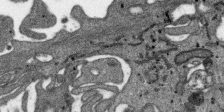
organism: Human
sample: Lung epithelial cells, uninfected (mock) control